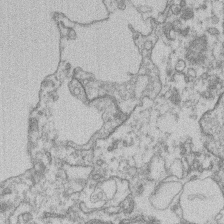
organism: Mouse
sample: T cell stromal cell synapse